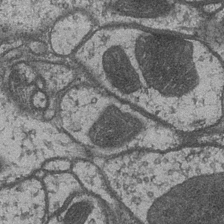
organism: Drosophila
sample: Optic medulla